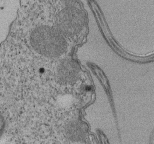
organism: Tetrahymena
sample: Cilia in tetrahymena